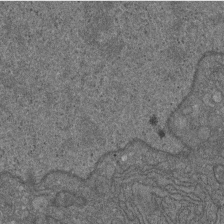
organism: Drosophila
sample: Nephrocyte